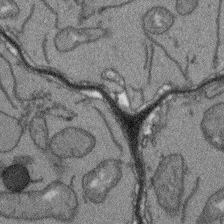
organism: Arabidopsis thaliana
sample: Root tip